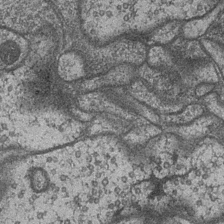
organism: Drosophila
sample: Optic medulla